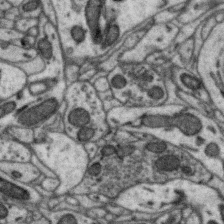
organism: Zebra finch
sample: Brain